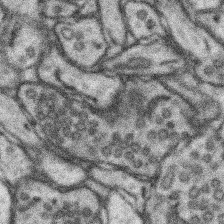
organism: Mouse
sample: Somatosensory cortex neuropil